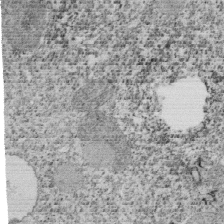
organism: Tetrahymena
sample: Cilia in tetrahymena